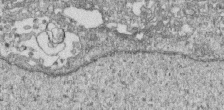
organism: Human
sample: HeLa cell HIV synapse